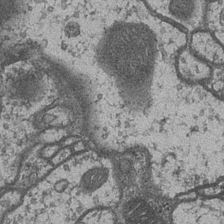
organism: Drosophila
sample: Optic medulla